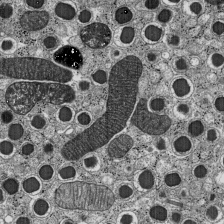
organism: C57BL Mouse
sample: Pancreatic islet